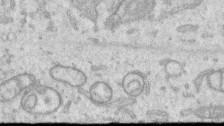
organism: Human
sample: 1205lu cells